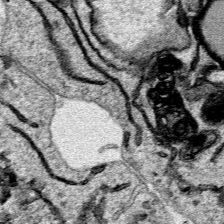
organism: Human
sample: Mitochondria in HCT116 cells